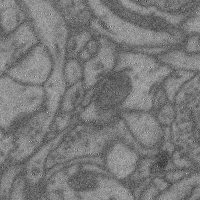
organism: Mouse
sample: Cerebral cortex